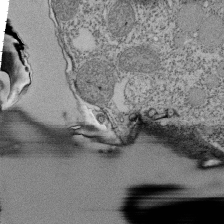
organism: Tetrahymena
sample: Cilia in tetrahymena